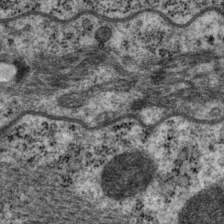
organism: P. pacificus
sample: Pharynx